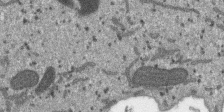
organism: Human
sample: Lung epithelial cells infected with SARS-CoV-2